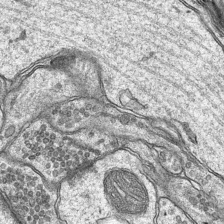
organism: Mouse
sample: CA1 Hippocampus